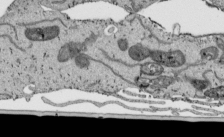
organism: Human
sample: Mitochondria in HCT116 cells